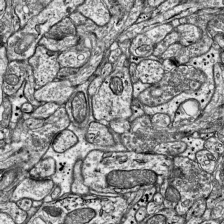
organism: Mouse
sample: Visual Cortex